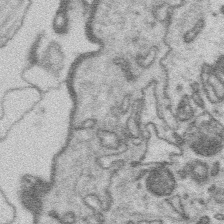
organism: Platynereis dumerilii